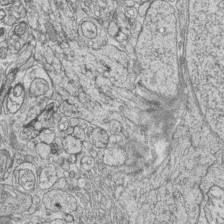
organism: Zebrafish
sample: synaptic ribbons in rod cells and cone cells